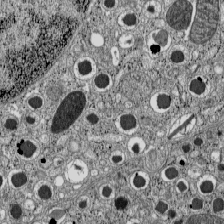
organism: C57BL Mouse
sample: Pancreatic islet